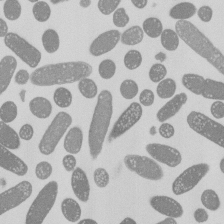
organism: E. coli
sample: Bacterial nucleoid